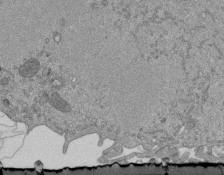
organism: Mouse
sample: ED-1 cell nuclei; centrioles